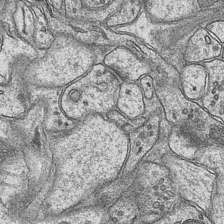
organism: Mouse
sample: CA1 Hippocampus